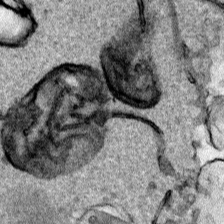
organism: Human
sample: Mitochondria in HCT116 cells